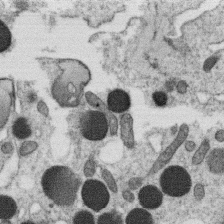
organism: C. elegans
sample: C. elegans oocyte; sperm cells